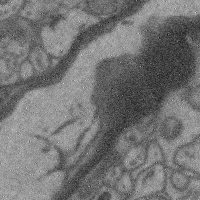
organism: Mouse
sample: Cerebral cortex